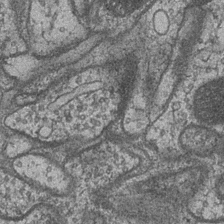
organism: Drosophila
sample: Optic medulla